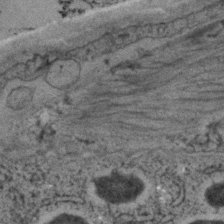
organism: C. elegans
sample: C. elegans embryo